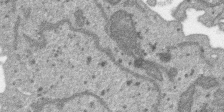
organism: Human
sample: Lung epithelial cells infected with SARS-CoV-2